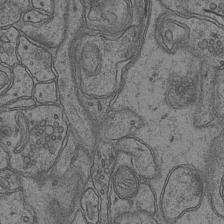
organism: Mouse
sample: CA1 Hippocampus